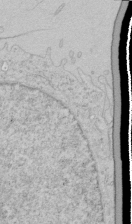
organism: Human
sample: Mitochondria in HCT116 cells